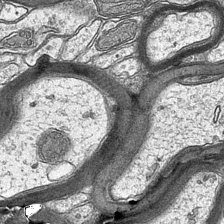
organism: Mouse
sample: CA1 Hippocampus